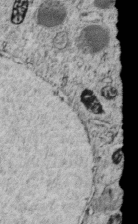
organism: C. elegans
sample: C. elegans embryo early stage